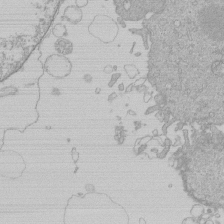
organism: Human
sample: Macrophage cells